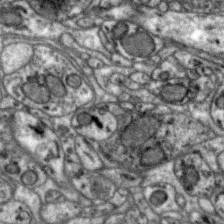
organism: Zebra finch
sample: Brain